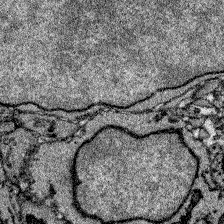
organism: Zebrafish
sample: Larval olfactory bulb